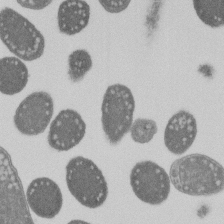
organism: E. coli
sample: Bacterial nucleoid